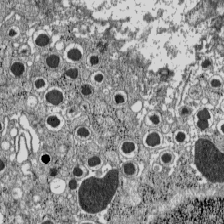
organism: C57BL Mouse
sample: Pancreatic islet